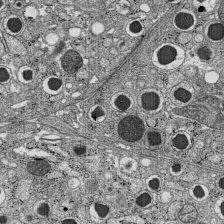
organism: C57BL Mouse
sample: Pancreatic islet